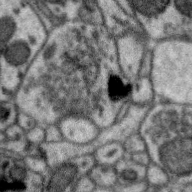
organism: Zebra finch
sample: Brain